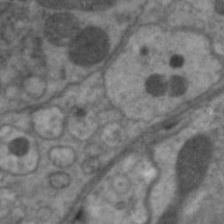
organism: C. elegans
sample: Pharynx